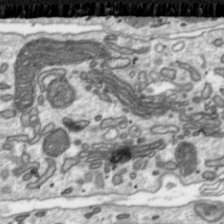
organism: Toxoplasma gondii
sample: Parasites in a vacuole inside a host cell